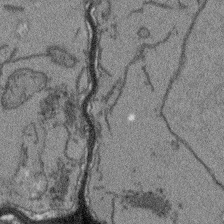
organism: Arabidopsis thaliana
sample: Root tip